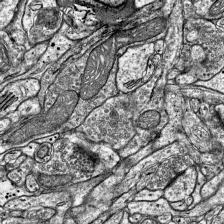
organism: Mouse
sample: Visual Cortex